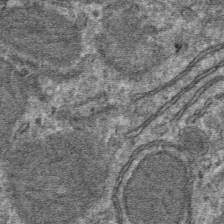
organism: Mouse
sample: Mouse hepatocytes